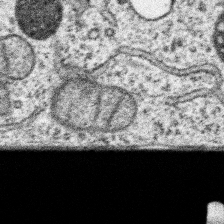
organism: Human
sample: HeLa cells